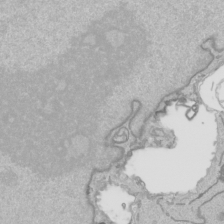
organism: Human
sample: Mitochondria in HCT116 cells